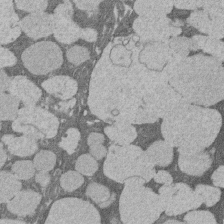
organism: Rat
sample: Salivary granule